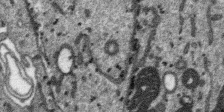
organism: Human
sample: Lung epithelial cells infected with SARS-CoV-2